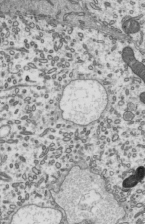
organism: Mouse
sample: Mouse epididymis efferent ductule cilia